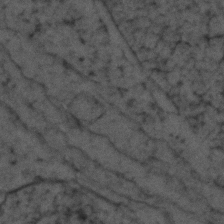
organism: Zebrafish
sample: Zebrafish embryo